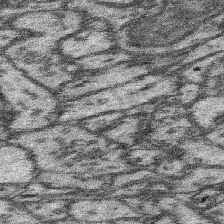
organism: Mouse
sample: Somatosensory cortex neuropil